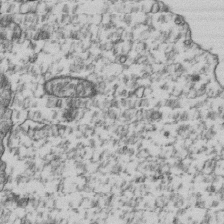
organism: Human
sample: Activated Jurkat CD4+ T cells